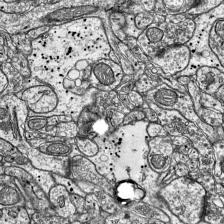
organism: Mouse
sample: Visual Cortex